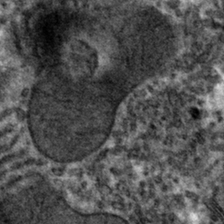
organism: Mouse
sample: Mouse hepatocytes